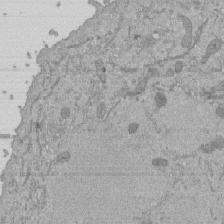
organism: Mouse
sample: ED-1 cell nuclei; centrioles